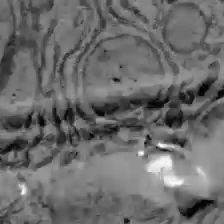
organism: C57BL Mouse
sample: Liver